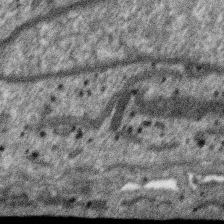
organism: Human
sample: Lung epithelial cells infected with SARS-CoV-2